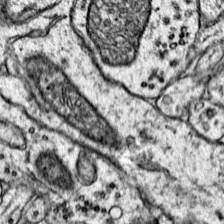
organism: Mouse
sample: Primary visual cortex